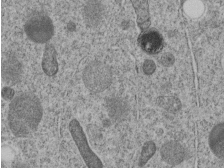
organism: C. elegans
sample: C. elegans embryo early stage